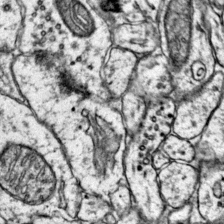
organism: Mouse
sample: Primary visual cortex